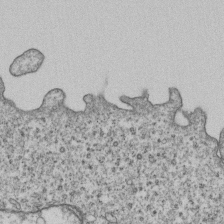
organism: Human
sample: MDA-MB-231 cells